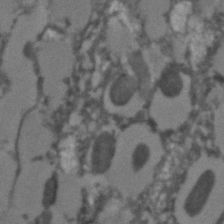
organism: C. elegans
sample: C. elegans embryo